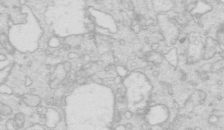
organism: Mouse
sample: Multiciliated cells